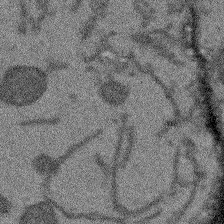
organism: Arabidopsis thaliana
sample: Root tip